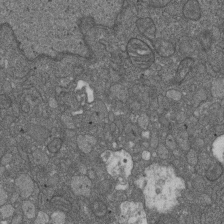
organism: Drosophila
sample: Nephrocyte